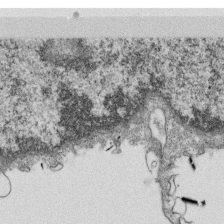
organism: African green monkey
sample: Vero E6 cells infected with SARS-CoV-2